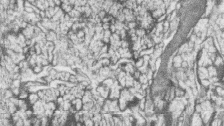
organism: Zebrafish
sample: synaptic ribbons in rod cells and cone cells